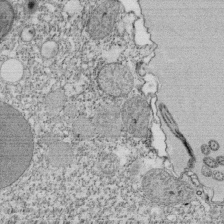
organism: Tetrahymena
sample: Cilia in tetrahymena